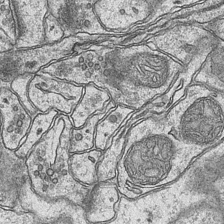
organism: Mouse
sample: CA1 Hippocampus